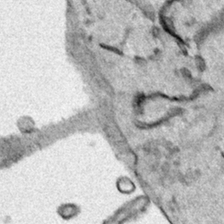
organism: Human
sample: Mitochondria in HCT116 cells